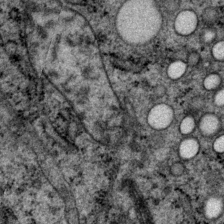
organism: P. pacificus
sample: Pharynx